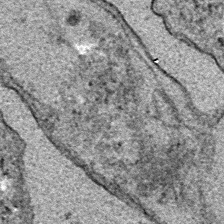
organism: E. coli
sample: E. Coli Bacteria